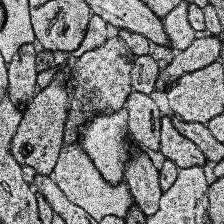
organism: Human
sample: Temporal Lobe